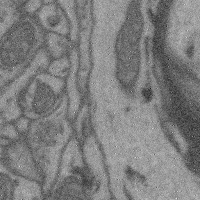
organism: Mouse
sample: Cerebral cortex